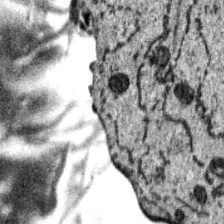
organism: Human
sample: HeLa cells